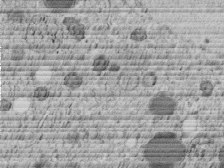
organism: C. elegans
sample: C. elegans embryo early stage